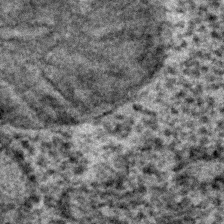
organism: C. elegans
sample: C. elegans embryo